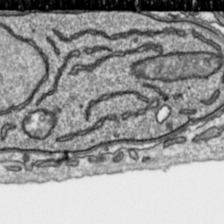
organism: Toxoplasma gondii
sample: Parasites in a vacuole inside a host cell